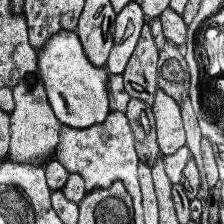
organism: Human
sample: Temporal Lobe